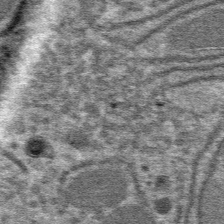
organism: Mouse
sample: Mouse hepatocytes